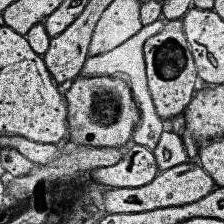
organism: Human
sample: Temporal Lobe